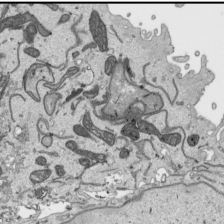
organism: Human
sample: Mitochondria in HCT116 cells